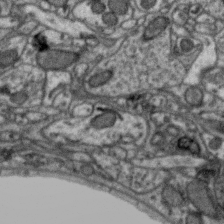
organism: Zebra finch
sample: Brain